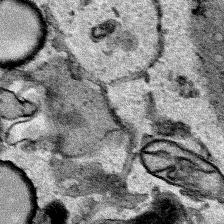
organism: Human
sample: Mitochondria in HCT116 cells